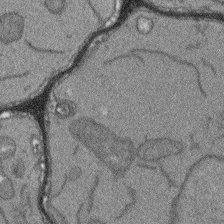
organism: Arabidopsis thaliana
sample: Root tip